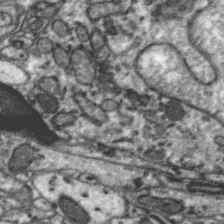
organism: Zebra finch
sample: Brain